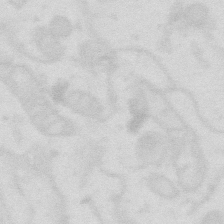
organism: Human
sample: HeLa cells